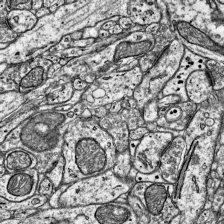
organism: Mouse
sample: Visual Cortex